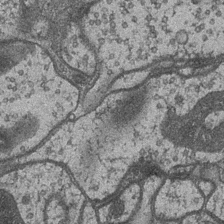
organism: Drosophila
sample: Optic medulla